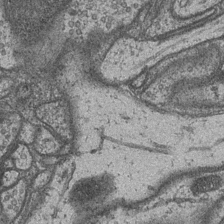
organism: Drosophila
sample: Optic medulla